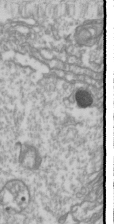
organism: Drosophila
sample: Cell division; meiosis; drosophila spermatocytes